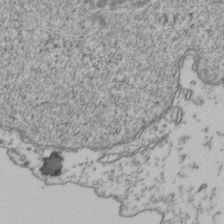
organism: Human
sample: Activated Jurkat CD4+ T cells